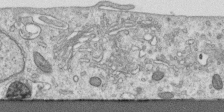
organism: Human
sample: Centriole in RPE cells